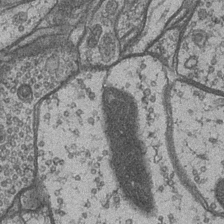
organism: Drosophila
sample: Optic medulla